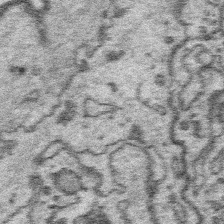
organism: Platynereis dumerilii